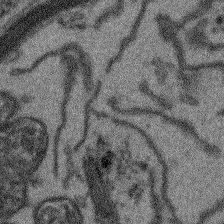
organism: Arabidopsis thaliana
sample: Root tip